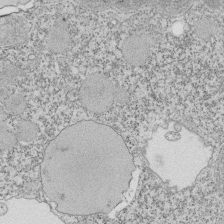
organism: Tetrahymena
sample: Cilia in tetrahymena